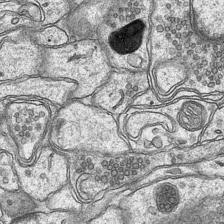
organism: Mouse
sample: CA1 Hippocampus